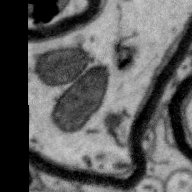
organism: Zebra finch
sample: Brain